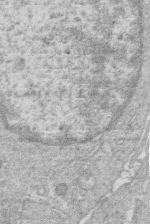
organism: Human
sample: Macrophage cells